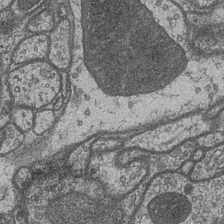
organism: Drosophila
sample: Optic medulla